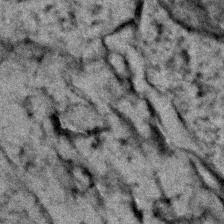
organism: Zebrafish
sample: Zebrafish embryo